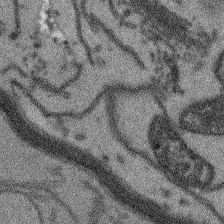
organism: Arabidopsis thaliana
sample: Root tip